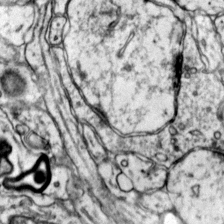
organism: Mouse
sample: Primary visual cortex